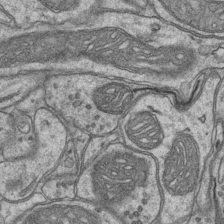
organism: Mouse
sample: CA1 Hippocampus